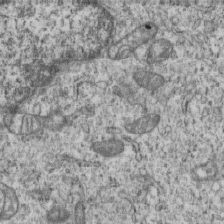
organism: Human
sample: MDA-MB-231 cells